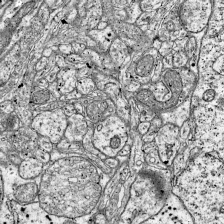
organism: Mouse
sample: Visual Cortex